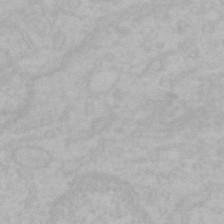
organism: Mouse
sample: Choroid plexus